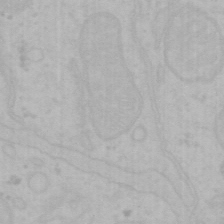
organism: Mouse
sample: Choroid plexus